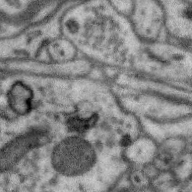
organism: Zebra finch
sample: Brain